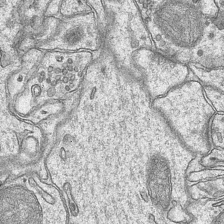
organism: Mouse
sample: CA1 Hippocampus